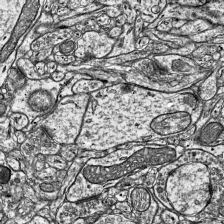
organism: Mouse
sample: Visual Cortex